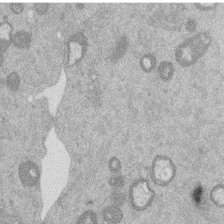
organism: Mouse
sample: Dividing mouse embryo 1 cell stage